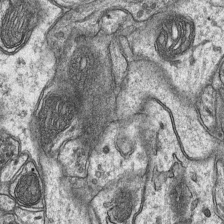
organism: Mouse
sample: CA1 Hippocampus